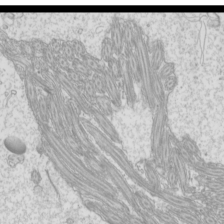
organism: Mouse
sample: Cilia; mouse epididymis